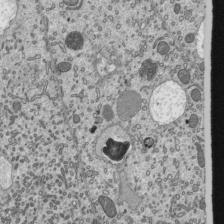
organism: Mouse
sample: Mouse epididymis efferent ductule cilia